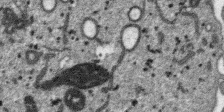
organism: Human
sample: Lung epithelial cells infected with SARS-CoV-2